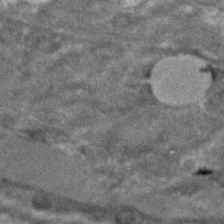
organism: C. elegans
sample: C. elegans embryo